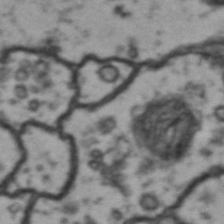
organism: Drosophila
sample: Brain